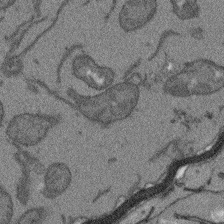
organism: Arabidopsis thaliana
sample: Root tip